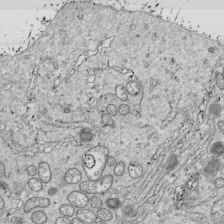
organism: Drosophila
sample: Cell division; meiosis; drosophila spermatocytes